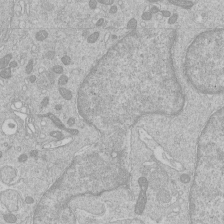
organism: Human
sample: Macrophage cells